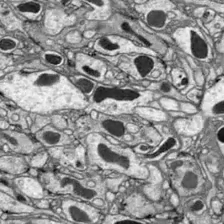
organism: Drosophila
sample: Optic lobe